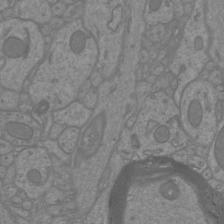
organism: Mouse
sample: Cortical neurons